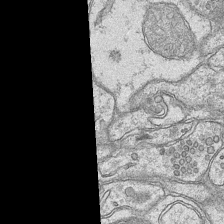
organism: Mouse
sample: CA1 Hippocampus